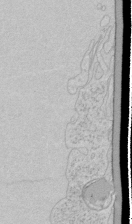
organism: Human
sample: Mitochondria in HCT116 cells